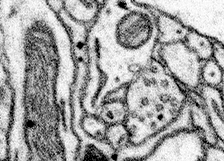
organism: Mouse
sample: Somatosensory cortex neuropil